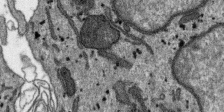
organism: Human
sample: Lung epithelial cells, uninfected (mock) control